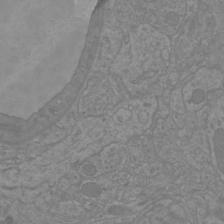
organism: Mouse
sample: Cortical neurons